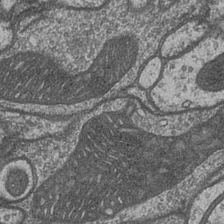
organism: Drosophila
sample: Optic medulla